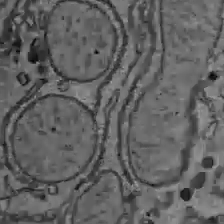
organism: C57BL Mouse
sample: Liver